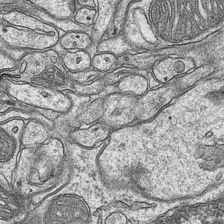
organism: Mouse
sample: CA1 Hippocampus